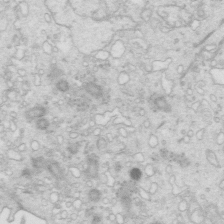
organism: Mouse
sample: Multiciliated cells